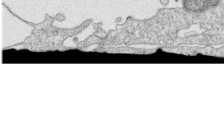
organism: Human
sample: HeLa cell HIV synapse